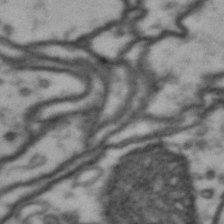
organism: Drosophila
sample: Brain